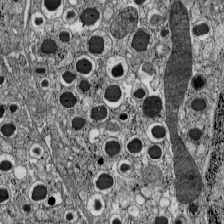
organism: C57BL Mouse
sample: Pancreatic islet